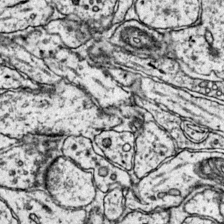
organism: Mouse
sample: Primary visual cortex